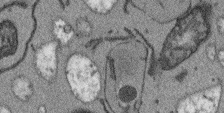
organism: Arabidopsis thaliana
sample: Root tip